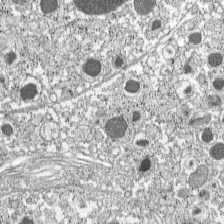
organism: C57BL Mouse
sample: Pancreatic islet